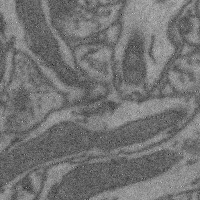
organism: Mouse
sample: Cerebral cortex